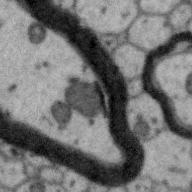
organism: Zebra finch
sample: Brain